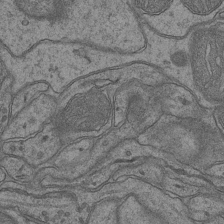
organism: Mouse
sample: CA1 Hippocampus